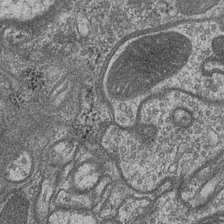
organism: Drosophila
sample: Optic medulla